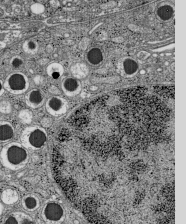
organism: C57BL Mouse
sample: Pancreatic islet